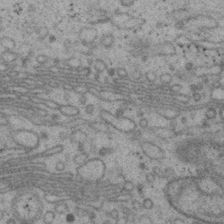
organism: Human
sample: HeLa cells